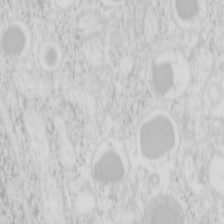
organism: Mouse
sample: Pancreas